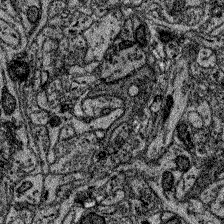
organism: Zebrafish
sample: Larval olfactory bulb